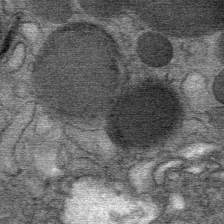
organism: Mouse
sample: Mouse Salivary gland